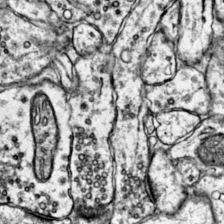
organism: Mouse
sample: Primary visual cortex